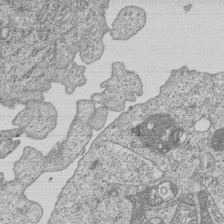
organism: Human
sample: MDA-MB-231 cells